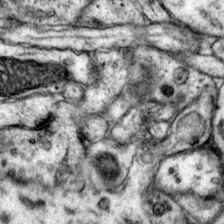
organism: Mouse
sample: Primary visual cortex